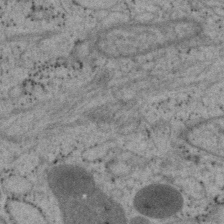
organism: Human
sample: HeLa cells